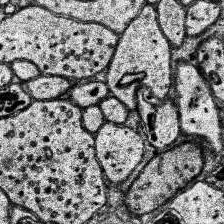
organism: Human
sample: Temporal Lobe